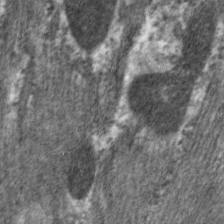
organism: C. elegans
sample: Pharynx